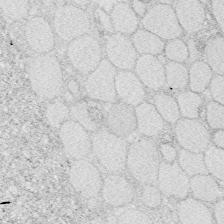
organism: Zebrafish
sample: Whole-Brain